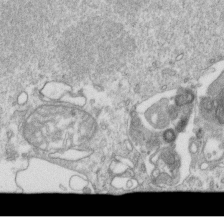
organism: Mouse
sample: Activated OT-1 CD8+ T cells